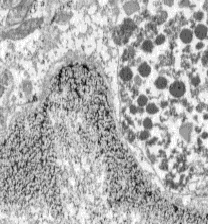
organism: C57BL Mouse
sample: Pancreatic islet